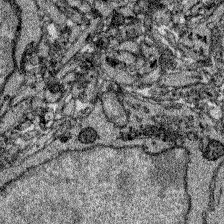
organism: Zebrafish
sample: Larval olfactory bulb